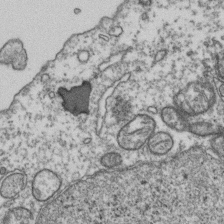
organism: Human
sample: Activated Jurkat CD4+ T cells